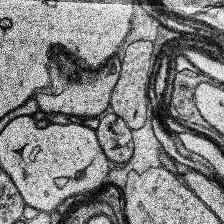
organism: Human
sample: Temporal Lobe